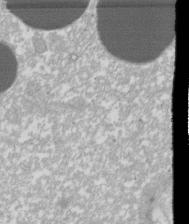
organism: Xenopus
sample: Cilia; centrioles in frog embryo cells